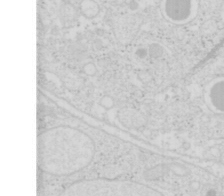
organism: Mouse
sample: Pancreas